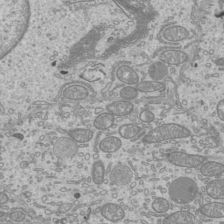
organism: Mouse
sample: Cilia; mouse epididymis